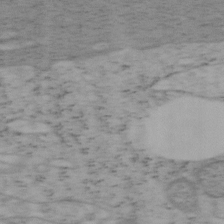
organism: Mouse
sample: OT-I killer T cells with ID8 ovarian cancer cells